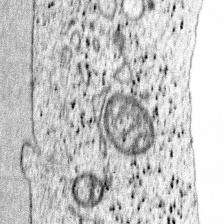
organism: Human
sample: HeLa cells